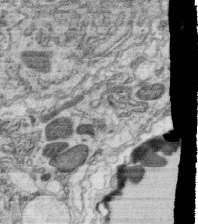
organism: C. elegans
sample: C. elegans oocyte; sperm cells